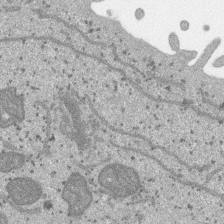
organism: Human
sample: Lung epithelial cells infected with SARS-CoV-2